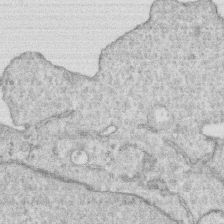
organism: Human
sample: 1205lu cells